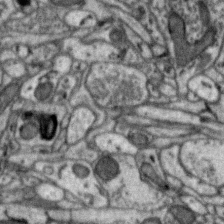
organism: Zebra finch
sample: Brain